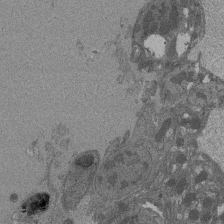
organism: Drosophila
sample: Antenna